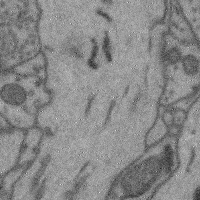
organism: Mouse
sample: Cerebral cortex